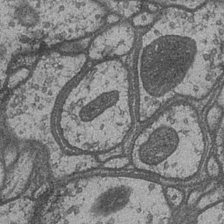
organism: Drosophila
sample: Optic medulla